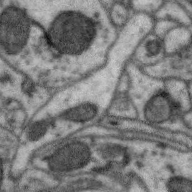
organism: Zebra finch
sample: Brain